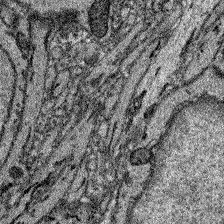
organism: Zebrafish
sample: Larval olfactory bulb